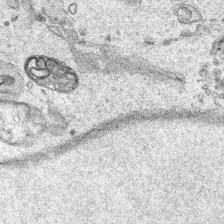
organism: Human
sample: Mitochondria in HCT116 cells